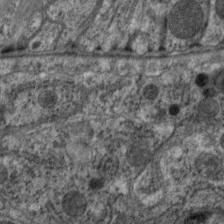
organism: C. elegans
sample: Pharynx